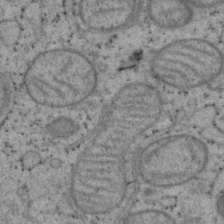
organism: Human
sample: HeLa cells